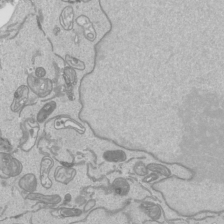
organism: Human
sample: Mitochondria in HCT116 cells